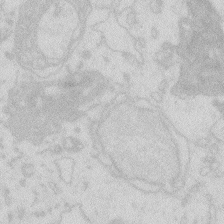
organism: Zebrafish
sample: Macrophage